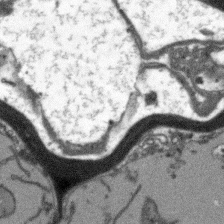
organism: Arabidopsis thaliana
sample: Root tip